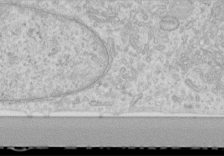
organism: Human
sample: Centriole in RPE cells